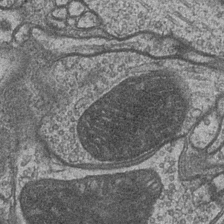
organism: Drosophila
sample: Optic medulla